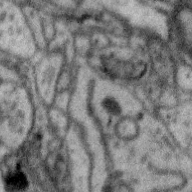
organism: Zebra finch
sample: Brain